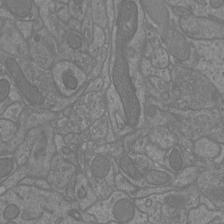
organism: Mouse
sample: Cortical neurons